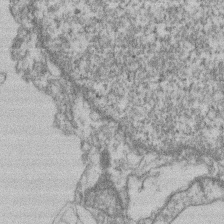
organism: Mouse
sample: T cell stromal cell synapse